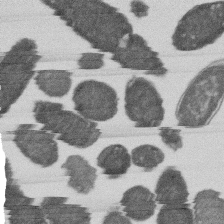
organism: E. coli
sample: Bacterial nucleoid